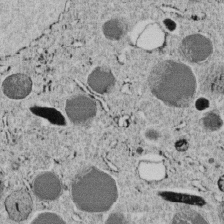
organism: C. elegans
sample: C. elegans embryo early stage